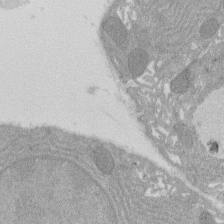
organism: Rat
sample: Salivary granule